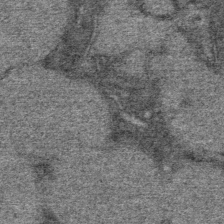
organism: Mouse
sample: Mouse Salivary gland